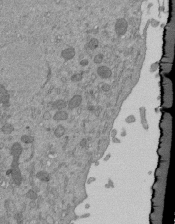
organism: Mouse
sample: ED-1 cell nuclei; centrioles